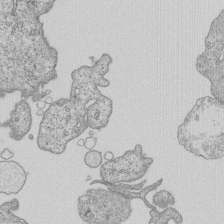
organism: Human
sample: MDA-MB-231 cells